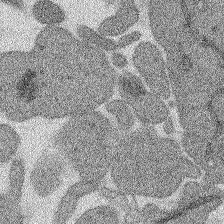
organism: Human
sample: HeLa cells